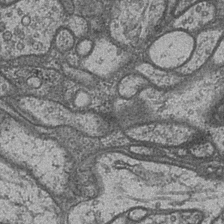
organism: Drosophila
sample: Optic medulla